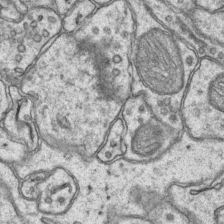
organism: Mouse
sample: CA1 Hippocampus